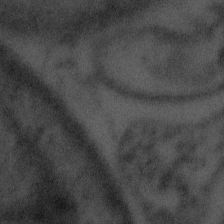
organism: Tuwongella immobilis